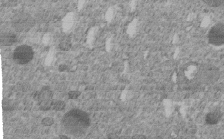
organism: C. elegans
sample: C. elegans embryo early stage